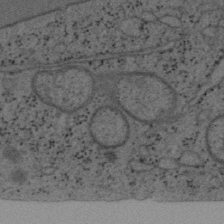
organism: Human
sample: HeLa cells